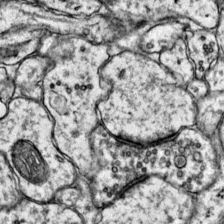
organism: Mouse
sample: Primary visual cortex